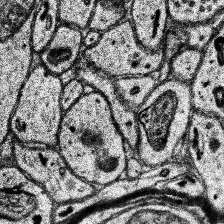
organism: Human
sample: Temporal Lobe